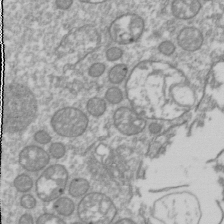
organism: Drosophila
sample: Cell division; meiosis; drosophila spermatocytes